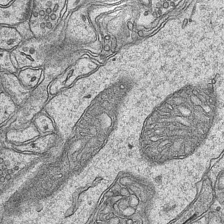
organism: Mouse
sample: CA1 Hippocampus